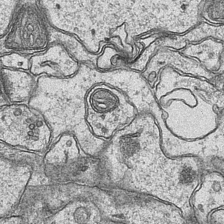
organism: Mouse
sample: CA1 Hippocampus